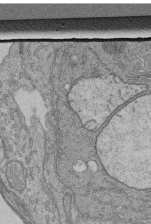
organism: Human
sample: Retinal organoid Rod and Cone cells